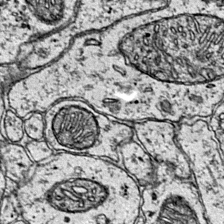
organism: Mouse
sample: Primary visual cortex